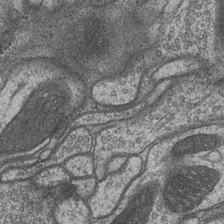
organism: Drosophila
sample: Optic medulla